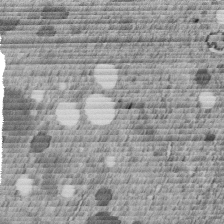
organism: C. elegans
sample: C. elegans embryo early stage